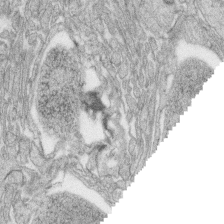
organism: Zebrafish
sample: synaptic ribbons in rod cells and cone cells